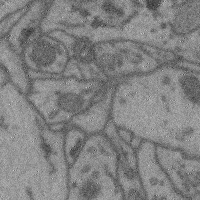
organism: Mouse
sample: Cerebral cortex